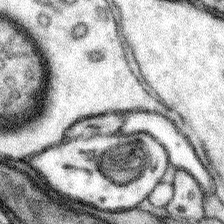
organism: Mouse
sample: Somatosensory cortex neuropil